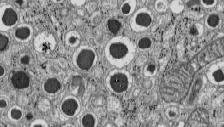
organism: C57BL Mouse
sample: Pancreatic islet